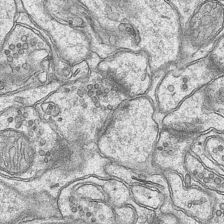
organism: Mouse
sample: CA1 Hippocampus